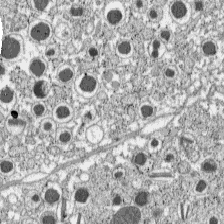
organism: C57BL Mouse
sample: Pancreatic islet